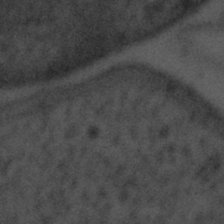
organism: Tuwongella immobilis